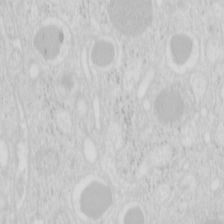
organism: Mouse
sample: Pancreas